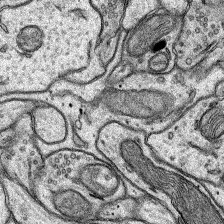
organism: Rat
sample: Hippocampus